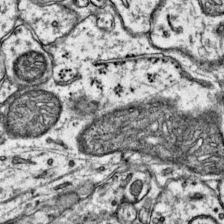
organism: Mouse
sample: Primary visual cortex